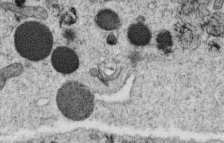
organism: C. elegans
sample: C. elegans oocyte; sperm cells